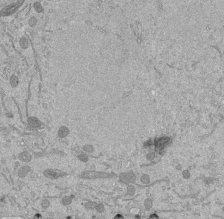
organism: Mouse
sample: ED-1 cell nuclei; centrioles